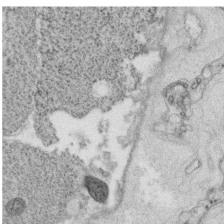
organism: C. elegans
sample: C. elegans oocyte; sperm cells